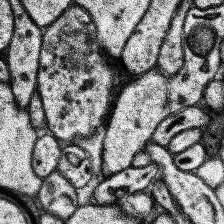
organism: Human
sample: Temporal Lobe